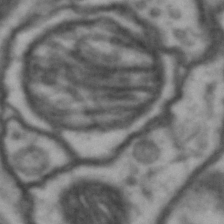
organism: Drosophila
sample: Brain